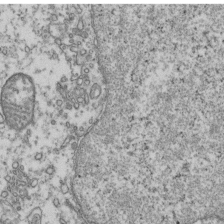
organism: Human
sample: Activated Jurkat CD4+ T cells